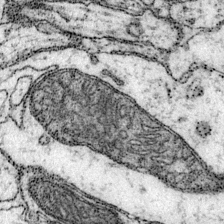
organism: Mouse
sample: Primary visual cortex